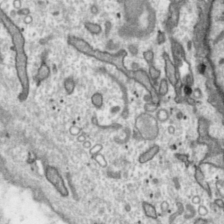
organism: Toxoplasma gondii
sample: Parasites in a vacuole inside a host cell